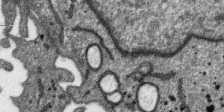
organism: Human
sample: Lung epithelial cells infected with SARS-CoV-2